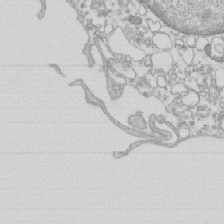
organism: Mouse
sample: Macrophages